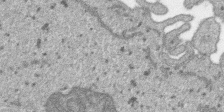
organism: Human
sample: Lung epithelial cells infected with SARS-CoV-2